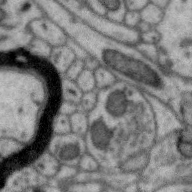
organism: Zebra finch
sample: Brain